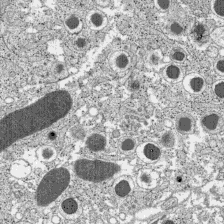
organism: C57BL Mouse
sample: Pancreatic islet